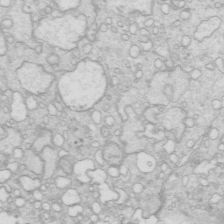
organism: Mouse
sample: Multiciliated cells